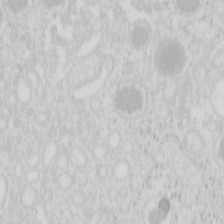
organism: Mouse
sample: Pancreas